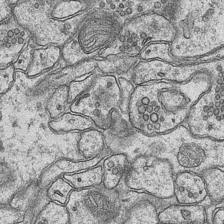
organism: Mouse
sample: CA1 Hippocampus